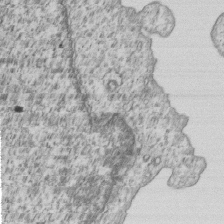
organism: Human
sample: MDA-MB-231 cells